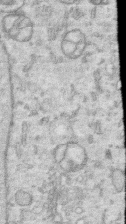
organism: Human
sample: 1205lu cells